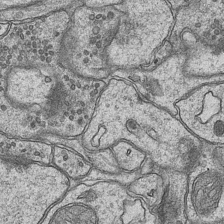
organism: Mouse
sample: CA1 Hippocampus